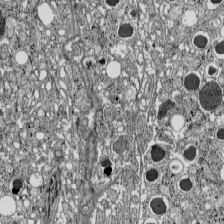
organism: C57BL Mouse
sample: Pancreatic islet